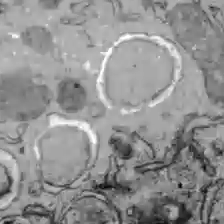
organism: C57BL Mouse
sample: Liver